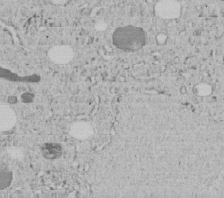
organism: C. elegans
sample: C. elegans embryo early stage